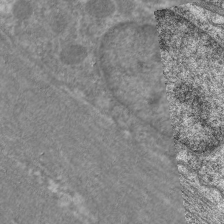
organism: C. elegans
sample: Pharynx